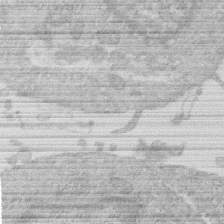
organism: Human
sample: Macrophage cells